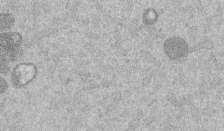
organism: Mouse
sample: Dividing mouse embryo 1 cell stage